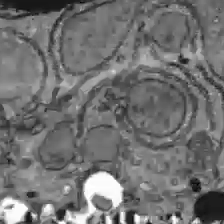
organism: C57BL Mouse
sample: Liver